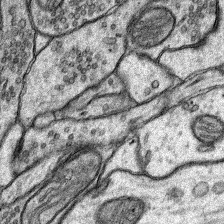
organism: Rat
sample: Hippocampus